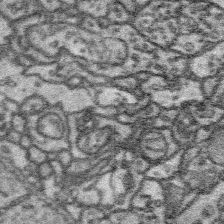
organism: Platynereis dumerilii